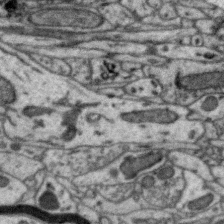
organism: Zebra finch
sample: Brain